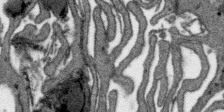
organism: Human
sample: Lung epithelial cells, uninfected (mock) control